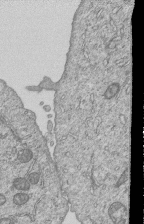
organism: Human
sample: MDA-MB-231 cells